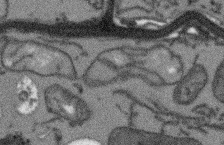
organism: Arabidopsis thaliana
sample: Root tip